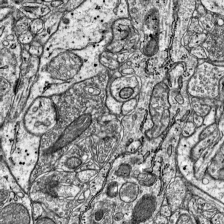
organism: Mouse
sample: Visual Cortex